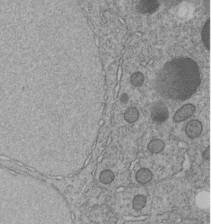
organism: C. elegans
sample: C. elegans embryo early stage